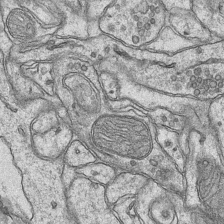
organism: Mouse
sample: CA1 Hippocampus